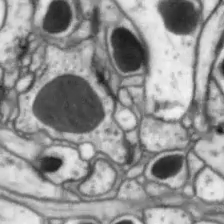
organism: Drosophila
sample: Optic lobe